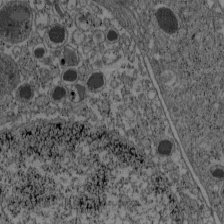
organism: C57BL Mouse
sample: Pancreatic islet